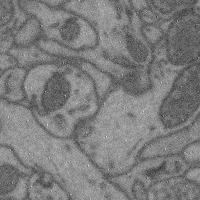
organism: Mouse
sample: Cerebral cortex